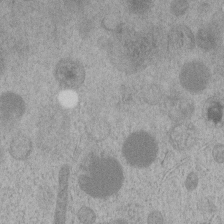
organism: C. elegans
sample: C. elegans embryo early stage